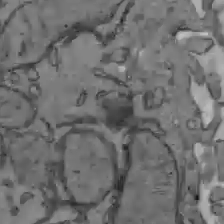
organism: C57BL Mouse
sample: Liver